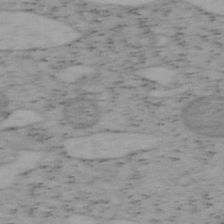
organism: Mouse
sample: OT-I killer T cells with ID8 ovarian cancer cells